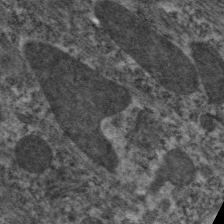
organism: C. elegans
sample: Pharynx